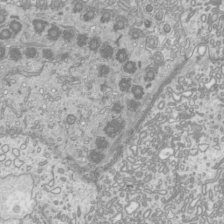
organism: Mouse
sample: Cilia; mouse epididymis